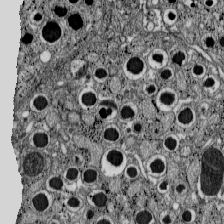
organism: C57BL Mouse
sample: Pancreatic islet